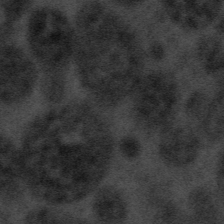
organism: Tuwongella immobilis